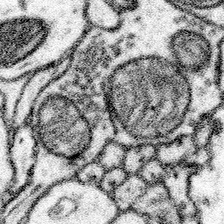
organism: Mouse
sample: Somatosensory cortex neuropil